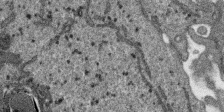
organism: Human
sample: Lung epithelial cells infected with SARS-CoV-2